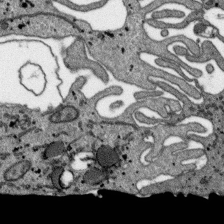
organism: Human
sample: Lung epithelial cells, uninfected (mock) control